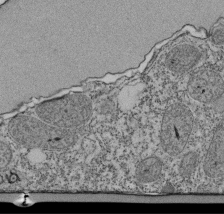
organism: Tetrahymena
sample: Cilia in tetrahymena